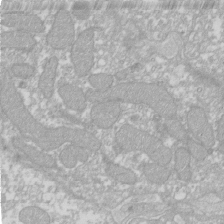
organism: Xenopus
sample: Cilia; centrioles in frog embryo cells